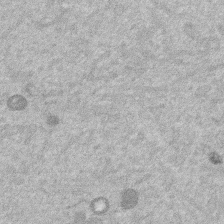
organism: Mouse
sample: Dividing mouse embryo 1 cell stage